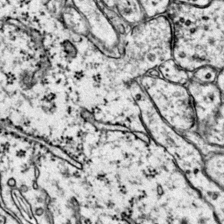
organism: Mouse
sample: Primary visual cortex